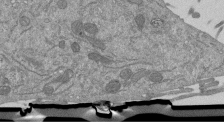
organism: Mouse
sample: ED-1 cell nuclei; centrioles